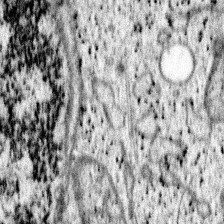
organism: Human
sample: HeLa cells